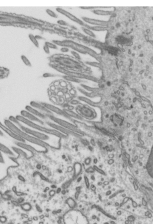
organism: Mouse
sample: Mouse epididymis efferent ductule cilia